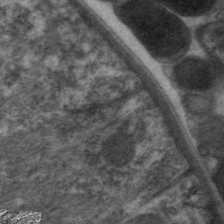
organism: C. elegans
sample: Pharynx